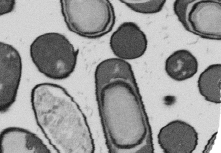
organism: B. subtilis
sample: Bacterial spore